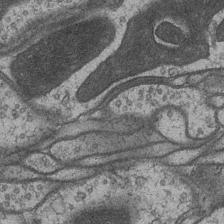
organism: Drosophila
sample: Optic medulla